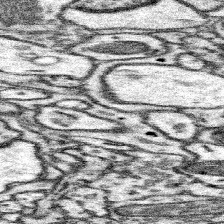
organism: Mouse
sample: Somatosensory cortex neuropil